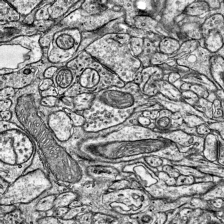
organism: Mouse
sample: Visual Cortex